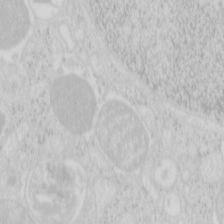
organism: Mouse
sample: Pancreas